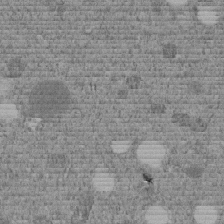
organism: C. elegans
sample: C. elegans embryo early stage